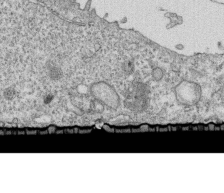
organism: Human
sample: HeLa cell HIV synapse